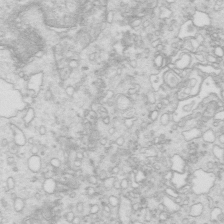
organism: Mouse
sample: Multiciliated cells